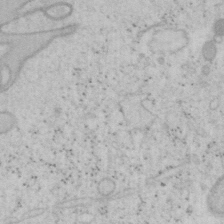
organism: Human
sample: HeLa cells